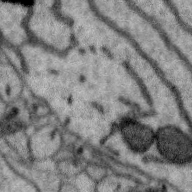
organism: Zebra finch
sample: Brain